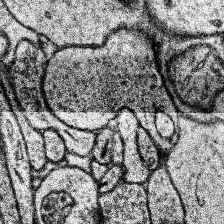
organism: Human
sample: Temporal Lobe